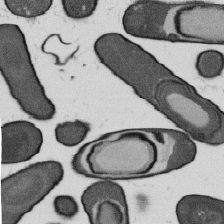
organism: B. subtilis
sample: Bacterial spore